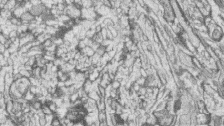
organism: Zebrafish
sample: synaptic ribbons in rod cells and cone cells